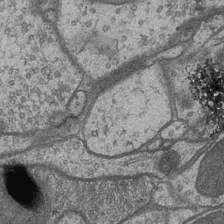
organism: Drosophila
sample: Optic medulla